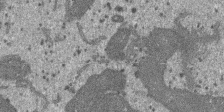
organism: Human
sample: Lung epithelial cells infected with SARS-CoV-2